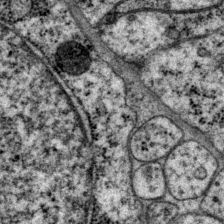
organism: P. pacificus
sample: Pharynx